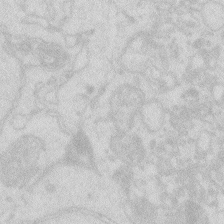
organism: Zebrafish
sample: Macrophage